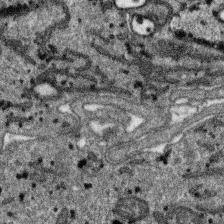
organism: Human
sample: Lung epithelial cells infected with SARS-CoV-2